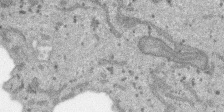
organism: Human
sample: Lung epithelial cells infected with SARS-CoV-2